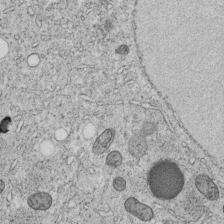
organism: C. elegans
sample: C. elegans embryo early stage